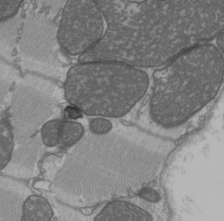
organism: C57BL Mouse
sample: Heart